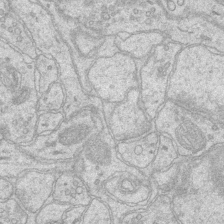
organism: Mouse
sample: CA1 Hippocampus